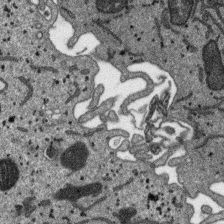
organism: Human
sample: Lung epithelial cells infected with SARS-CoV-2